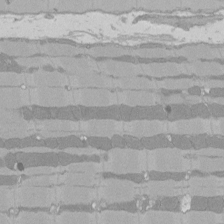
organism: Rat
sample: Left ventricle